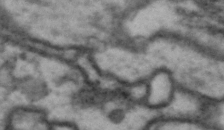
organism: Drosophila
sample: Brain